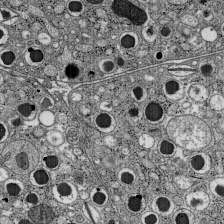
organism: C57BL Mouse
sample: Pancreatic islet